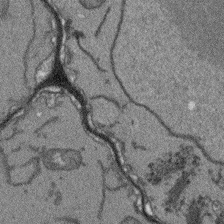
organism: Arabidopsis thaliana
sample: Root tip